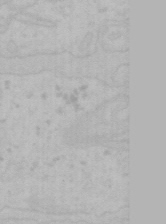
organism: Mouse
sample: Choroid plexus